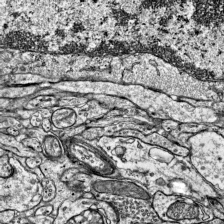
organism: Mouse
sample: Visual Cortex